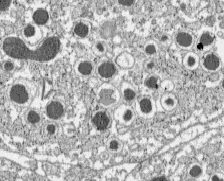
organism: C57BL Mouse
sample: Pancreatic islet